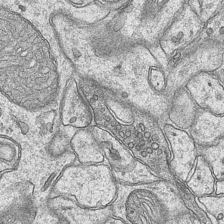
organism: Mouse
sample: CA1 Hippocampus